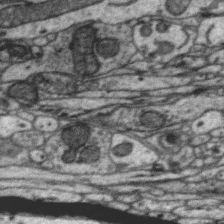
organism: Zebra finch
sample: Brain